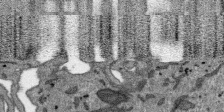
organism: Human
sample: Lung epithelial cells, uninfected (mock) control